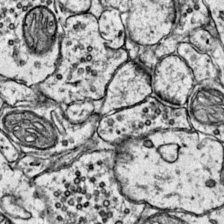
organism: Mouse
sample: Primary visual cortex